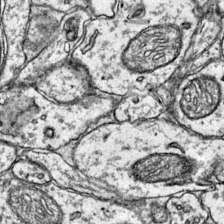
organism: Mouse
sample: Primary visual cortex